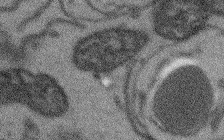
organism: Arabidopsis thaliana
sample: Root tip